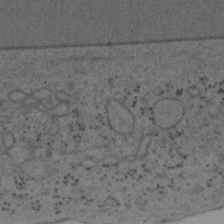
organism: Human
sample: HeLa cells